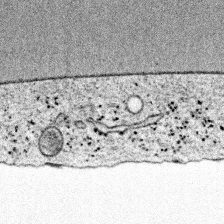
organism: Human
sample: HeLa cells